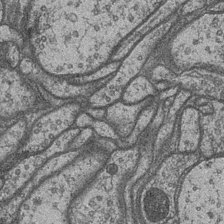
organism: Drosophila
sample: Optic medulla